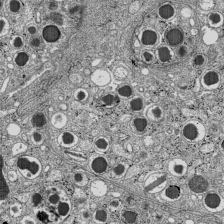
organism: C57BL Mouse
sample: Pancreatic islet